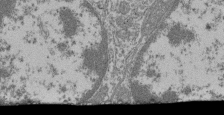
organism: Mouse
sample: Glomerulus